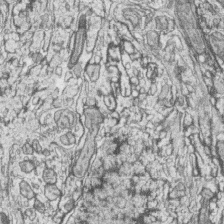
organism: Zebrafish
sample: synaptic ribbons in rod cells and cone cells